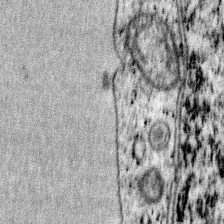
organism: Human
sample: HeLa cells